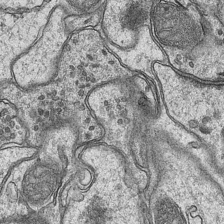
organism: Mouse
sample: CA1 Hippocampus